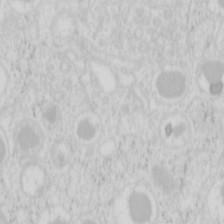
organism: Mouse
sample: Pancreas